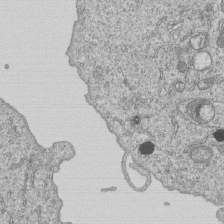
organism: Human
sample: MDA-MB-231 cells